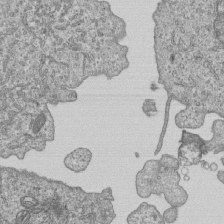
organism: Human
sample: MDA-MB-231 cells